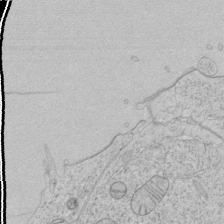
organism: Human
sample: Mitochondria in HCT116 cells